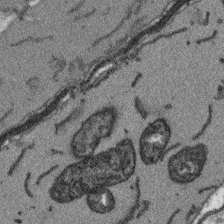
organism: Arabidopsis thaliana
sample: Root tip